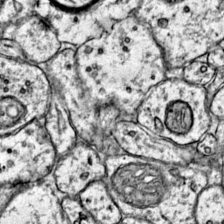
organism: Mouse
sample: Primary visual cortex